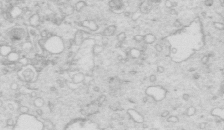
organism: Mouse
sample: Multiciliated cells